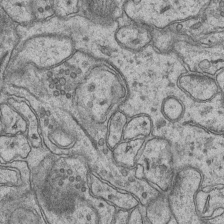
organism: Mouse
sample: CA1 Hippocampus